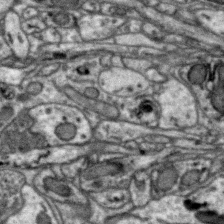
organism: Zebra finch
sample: Brain